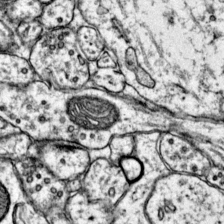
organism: Mouse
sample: Primary visual cortex